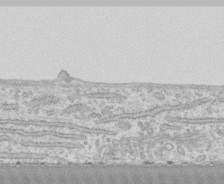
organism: Human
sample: CRL-1474